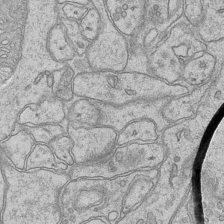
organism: Mouse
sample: CA1 Hippocampus